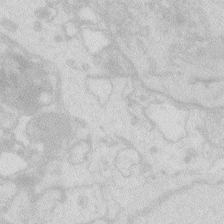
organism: Zebrafish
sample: Macrophage